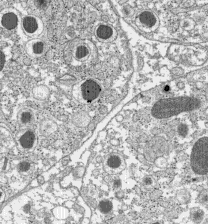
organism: C57BL Mouse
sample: Pancreatic islet